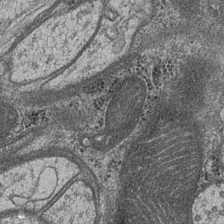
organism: Drosophila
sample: Optic medulla